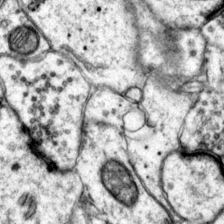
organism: Mouse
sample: Primary visual cortex